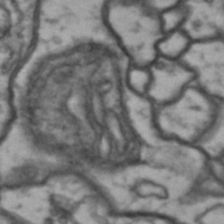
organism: Drosophila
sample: Brain